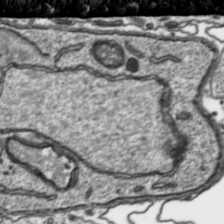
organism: Toxoplasma gondii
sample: Parasites in a vacuole inside a host cell